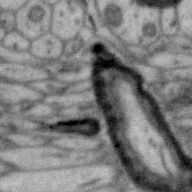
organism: Zebra finch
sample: Brain